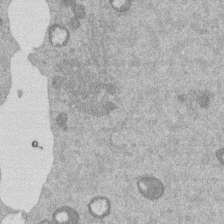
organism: Mouse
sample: Dividing mouse embryo 1 cell stage